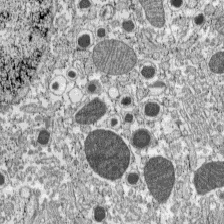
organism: C57BL Mouse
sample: Pancreatic islet